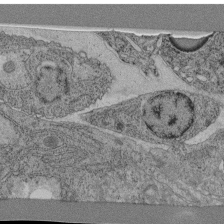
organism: C. elegans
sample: C. elegans pharynx